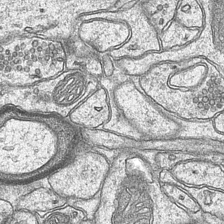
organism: Mouse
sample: CA1 Hippocampus